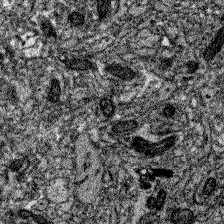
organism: Zebrafish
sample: Larval olfactory bulb